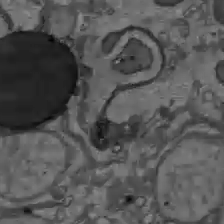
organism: C57BL Mouse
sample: Liver